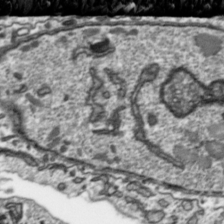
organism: Toxoplasma gondii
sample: Parasites in a vacuole inside a host cell